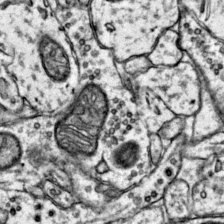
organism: Mouse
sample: Primary visual cortex